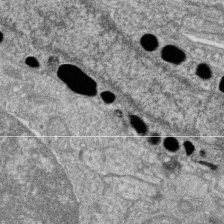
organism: Zebrafish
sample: Cilia; retinal pigment epithelium